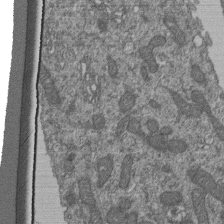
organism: Human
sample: Retinal organoid Rod and Cone cells